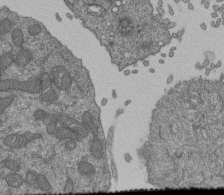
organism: Human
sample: Retinal organoid Rod and Cone cells